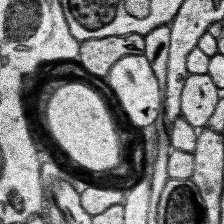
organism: Human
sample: Temporal Lobe